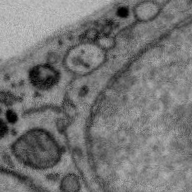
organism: Zebra finch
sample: Brain